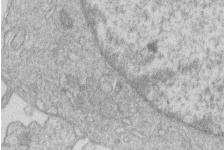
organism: Human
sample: Macrophage cells